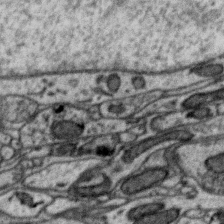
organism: Zebra finch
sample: Brain